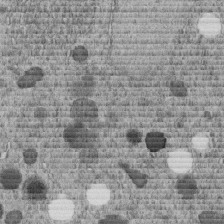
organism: C. elegans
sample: C. elegans embryo early stage